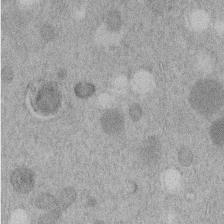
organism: C. elegans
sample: C. elegans embryo early stage